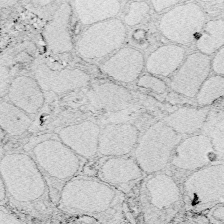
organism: Zebrafish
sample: Whole-Brain